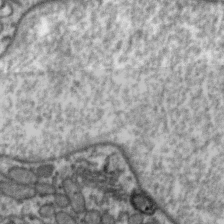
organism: Zebra finch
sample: Brain